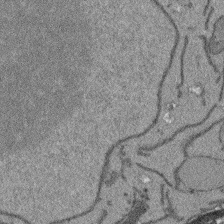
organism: Arabidopsis thaliana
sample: Root tip